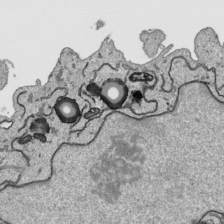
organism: Human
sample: Mitochondria in HCT116 cells